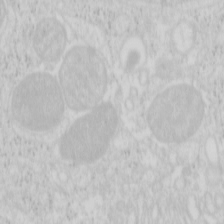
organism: Mouse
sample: Pancreas